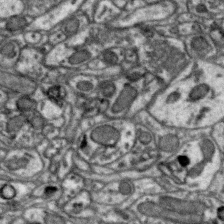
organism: Zebra finch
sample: Brain